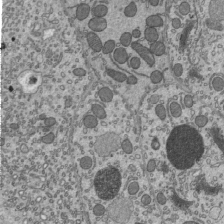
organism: Mouse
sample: Mouse epididymis efferent ductule cilia